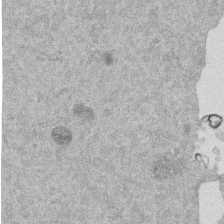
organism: Mouse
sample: Dividing mouse embryo 1 cell stage